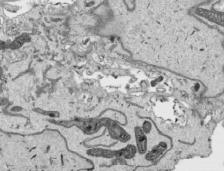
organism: Human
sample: Mitochondria in HCT116 cells